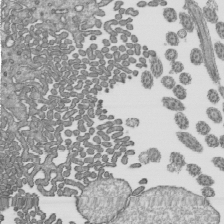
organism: Mouse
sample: Mouse epididymis efferent ductule cilia